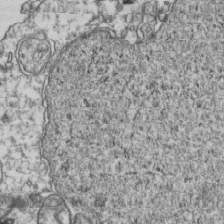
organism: Human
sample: Activated Jurkat CD4+ T cells